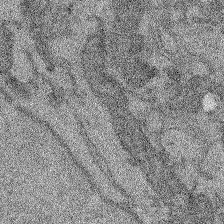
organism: Human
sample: HeLa cells